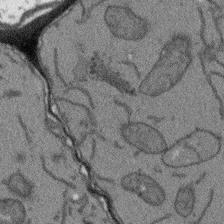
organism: Arabidopsis thaliana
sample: Root tip